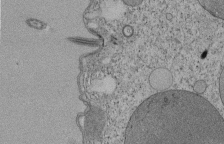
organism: Tetrahymena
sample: Cilia in tetrahymena